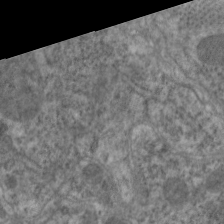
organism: C. elegans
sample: Pharynx